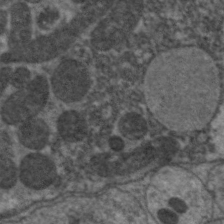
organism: C. elegans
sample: Pharynx